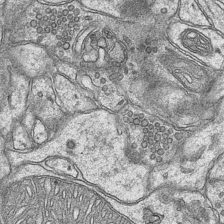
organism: Mouse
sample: CA1 Hippocampus